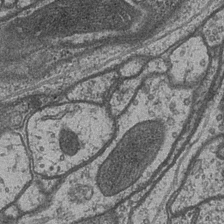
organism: Drosophila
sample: Optic medulla